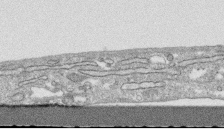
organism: Human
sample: CRL-1474